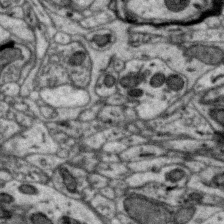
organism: Zebra finch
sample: Brain